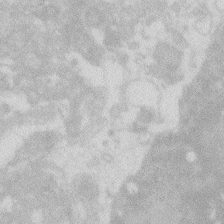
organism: Zebrafish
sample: Macrophage